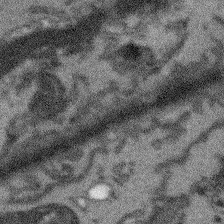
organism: Arabidopsis thaliana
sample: Root tip